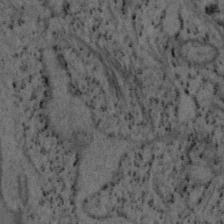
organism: Human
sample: HeLa cells